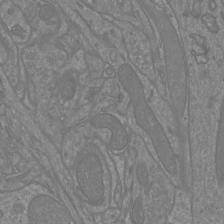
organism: Mouse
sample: Cortical neurons